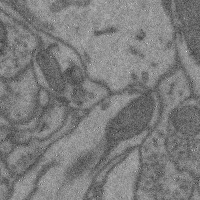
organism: Mouse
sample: Cerebral cortex